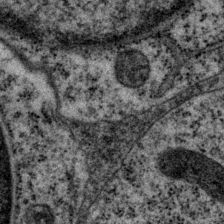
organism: P. pacificus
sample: Pharynx